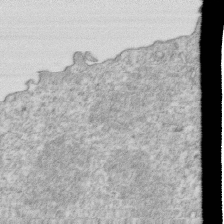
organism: Mouse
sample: Activated OT-1 CD8+ T cells